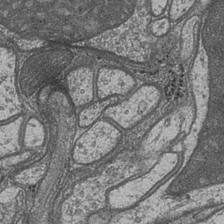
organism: Drosophila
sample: Optic medulla